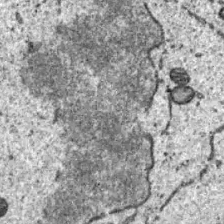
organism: Human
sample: HeLa cells